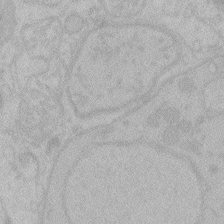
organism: Zebrafish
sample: Macrophage infected with Toxoplasma gondii